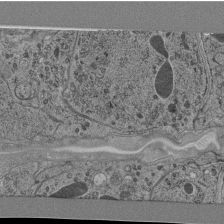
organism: C. elegans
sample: C. elegans pharynx